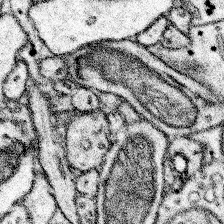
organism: Mouse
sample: Somatosensory cortex neuropil